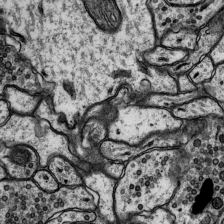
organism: Rat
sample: Hippocampus